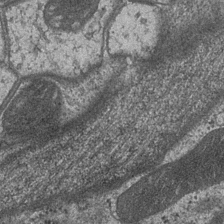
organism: Drosophila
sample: Optic medulla